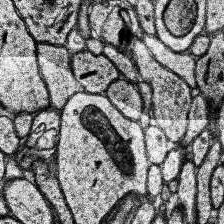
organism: Human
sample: Temporal Lobe